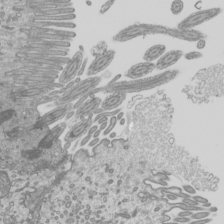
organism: Mouse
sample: Cilia; mouse epididymis